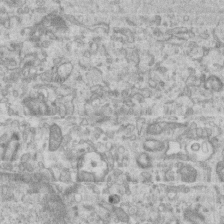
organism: Mouse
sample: Centriole in ependymal cells